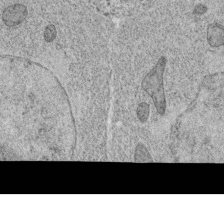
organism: C. elegans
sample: C. elegans oocyte; sperm cells